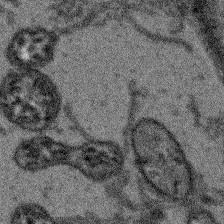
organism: Arabidopsis thaliana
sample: Root tip